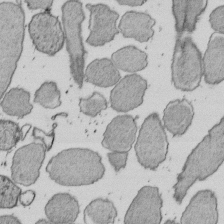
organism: E. coli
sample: Bacterial nucleoid